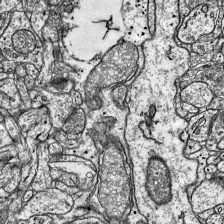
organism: Mouse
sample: Visual Cortex